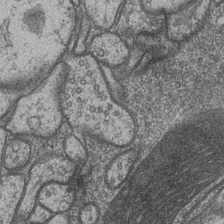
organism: Drosophila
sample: Optic medulla